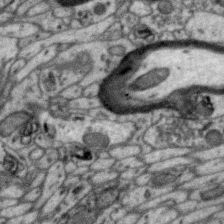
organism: Zebra finch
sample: Brain